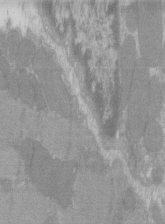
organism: C57BL Mouse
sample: Tibialis anterior muscle cell